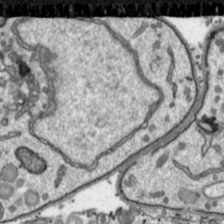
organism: Toxoplasma gondii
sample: Parasites in a vacuole inside a host cell